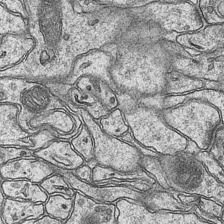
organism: Mouse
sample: CA1 Hippocampus